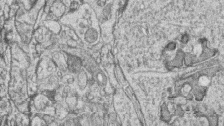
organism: Zebrafish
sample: synaptic ribbons in rod cells and cone cells